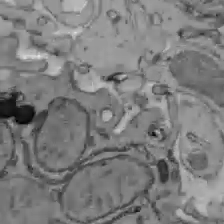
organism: C57BL Mouse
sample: Liver